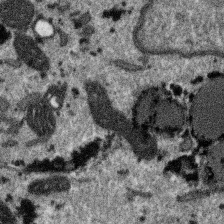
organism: Human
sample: Lung epithelial cells infected with SARS-CoV-2